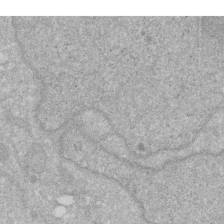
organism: Human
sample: HIV infected U937 cells